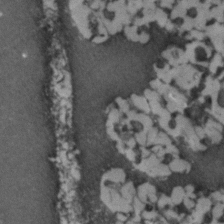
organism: Zebrafish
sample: Zebrafish embryo